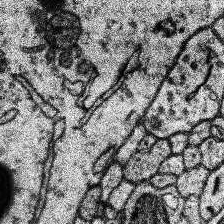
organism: Human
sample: Temporal Lobe